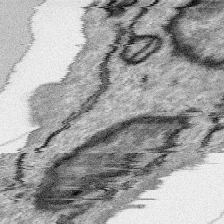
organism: Human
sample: HeLa cells